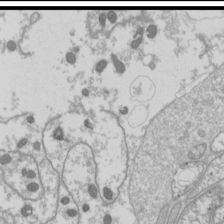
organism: Drosophila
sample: Cell division; meiosis; drosophila spermatocytes